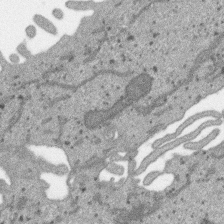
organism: Human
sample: Lung epithelial cells infected with SARS-CoV-2